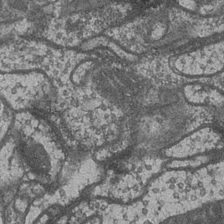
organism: Drosophila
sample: Optic medulla